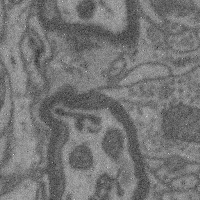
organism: Mouse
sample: Cerebral cortex